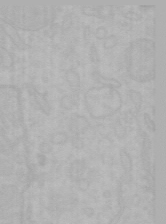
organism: Mouse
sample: Choroid plexus